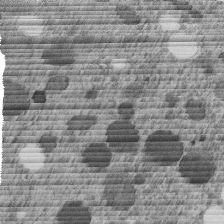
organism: C. elegans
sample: C. elegans embryo early stage